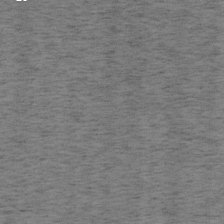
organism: Mouse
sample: OT-I killer T cells with ID8 ovarian cancer cells